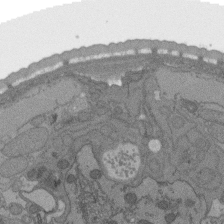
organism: C. elegans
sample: AFD neurons C. elegans